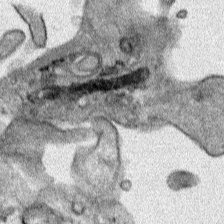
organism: Human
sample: Mitochondria in HCT116 cells